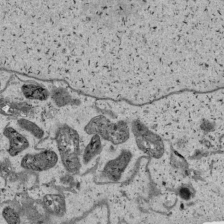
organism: Human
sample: Mitochondria in HCT116 cells